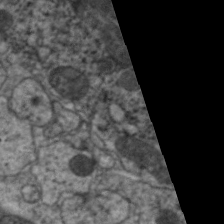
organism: C. elegans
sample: Pharynx